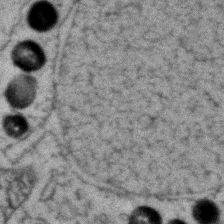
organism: Zebrafish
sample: Zebrafish embryo